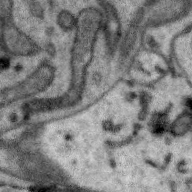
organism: Zebra finch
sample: Brain